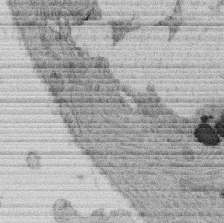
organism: Rat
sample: Salivary granule